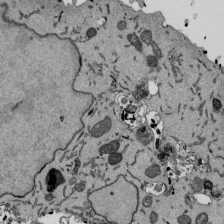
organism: Mouse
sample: ED-1 cell nuclei; centrioles